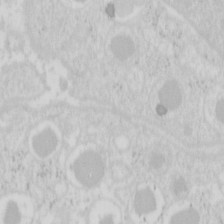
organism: Mouse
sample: Pancreas